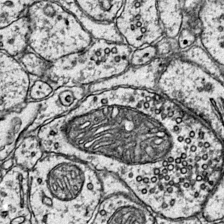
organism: Mouse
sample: Primary visual cortex